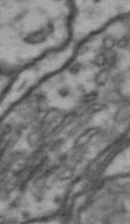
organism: Drosophila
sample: Brain